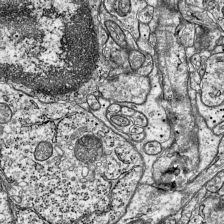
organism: Mouse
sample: Visual Cortex